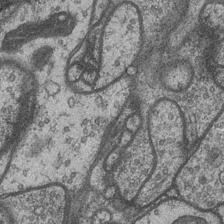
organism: Drosophila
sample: Optic medulla